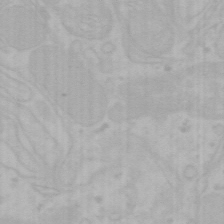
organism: Mouse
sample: Choroid plexus